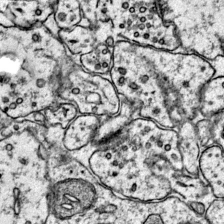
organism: Mouse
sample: Primary visual cortex